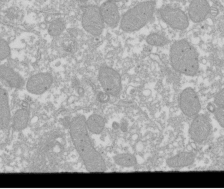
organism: Xenopus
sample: Cilia; centrioles in frog embryo cells